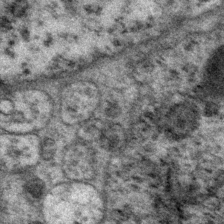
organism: P. pacificus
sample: Pharynx